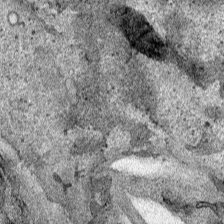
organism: Human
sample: Mitochondria in HCT116 cells